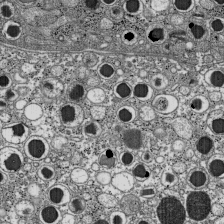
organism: C57BL Mouse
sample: Pancreatic islet